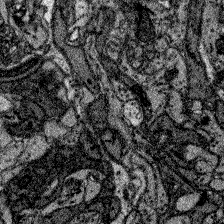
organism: Zebrafish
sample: Larval olfactory bulb